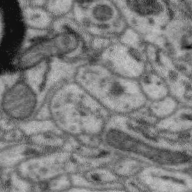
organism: Zebra finch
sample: Brain